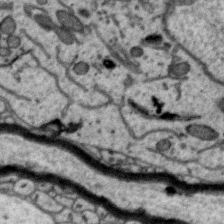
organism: Zebra finch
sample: Brain